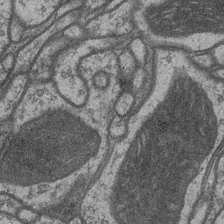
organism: Drosophila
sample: Optic medulla